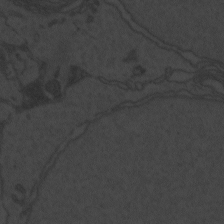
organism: Zebrafish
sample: Macrophage infected with Toxoplasma gondii